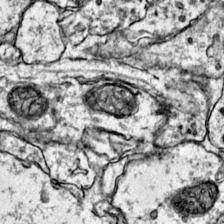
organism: Mouse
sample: Primary visual cortex